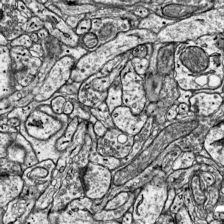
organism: Mouse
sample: Visual Cortex